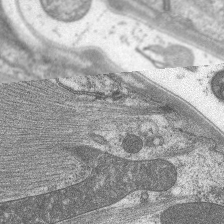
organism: C. elegans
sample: Pharynx